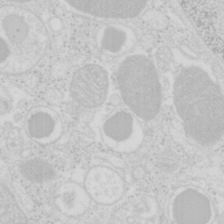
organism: Mouse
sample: Pancreas